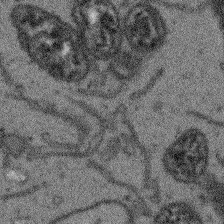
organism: Arabidopsis thaliana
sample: Root tip